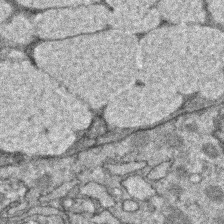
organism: Zebrafish